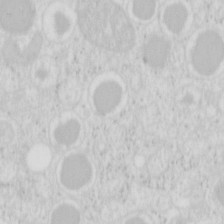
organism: Mouse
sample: Pancreas